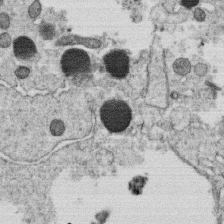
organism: C. elegans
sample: C. elegans oocyte; sperm cells